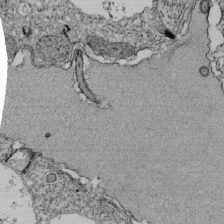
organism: Tetrahymena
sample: Cilia in tetrahymena